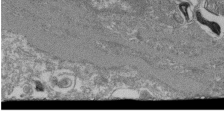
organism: Mouse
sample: Glomerulus